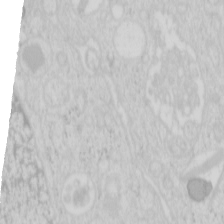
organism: Mouse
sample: Pancreas